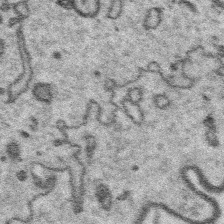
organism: Platynereis dumerilii